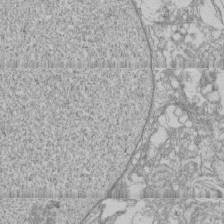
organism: Human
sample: CRL-1474